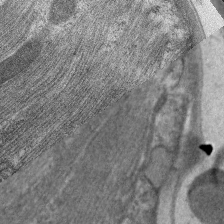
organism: C. elegans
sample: Pharynx